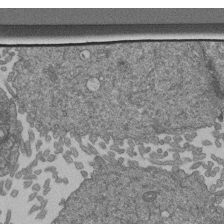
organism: Human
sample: Retinal organoid Rod and Cone cells